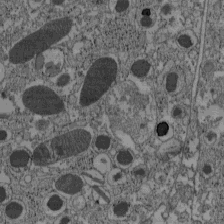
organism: C57BL Mouse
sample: Pancreatic islet